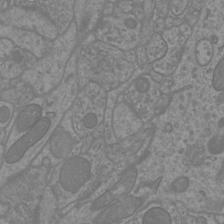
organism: Mouse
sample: Cortical neurons